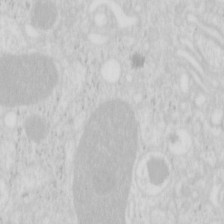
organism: Mouse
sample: Pancreas